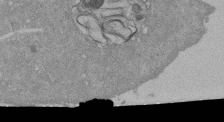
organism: Mouse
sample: ED-1 cell nuclei; centrioles